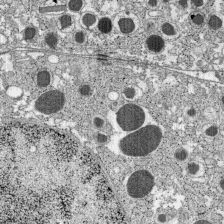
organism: C57BL Mouse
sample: Pancreatic islet